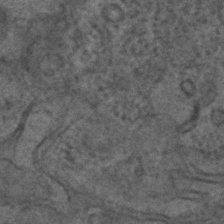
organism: C. elegans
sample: C. elegans embryo